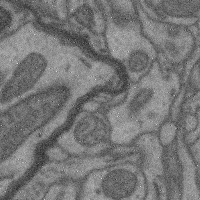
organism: Mouse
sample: Cerebral cortex